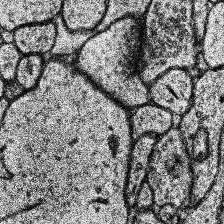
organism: Human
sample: Temporal Lobe